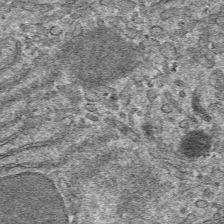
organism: Mouse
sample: Mouse hepatocytes